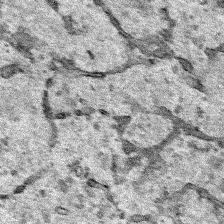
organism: Human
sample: Mitochondria in HCT116 cells